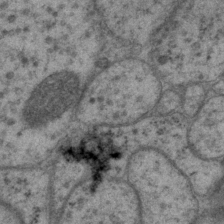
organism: P. pacificus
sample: Pharynx